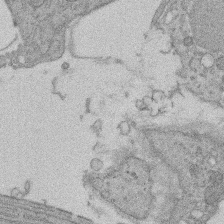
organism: Rat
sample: Salivary granule